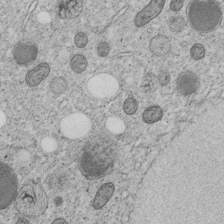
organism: C. elegans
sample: C. elegans embryo early stage